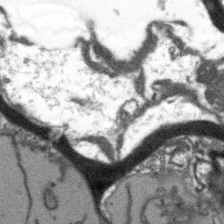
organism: Arabidopsis thaliana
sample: Root tip